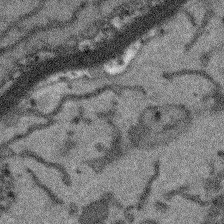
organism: Arabidopsis thaliana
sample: Root tip